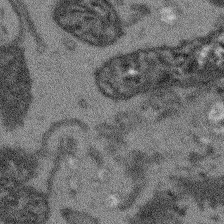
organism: Arabidopsis thaliana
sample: Root tip